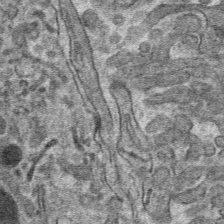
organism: Mouse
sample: Mouse hepatocytes